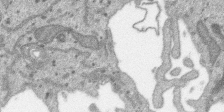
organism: Human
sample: Lung epithelial cells infected with SARS-CoV-2